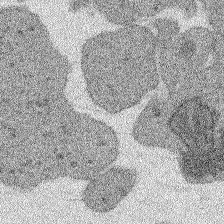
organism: Human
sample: HeLa cells